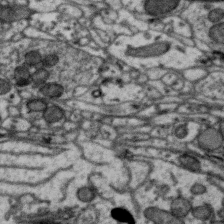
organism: Zebra finch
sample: Brain